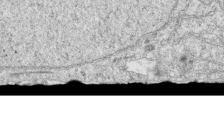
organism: Human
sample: HeLa cell HIV synapse